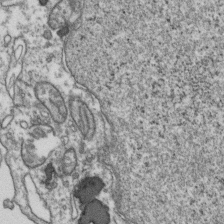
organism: Human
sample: Activated Jurkat CD4+ T cells